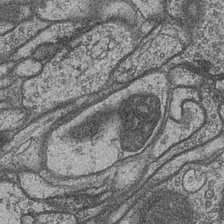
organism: Drosophila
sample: Optic medulla